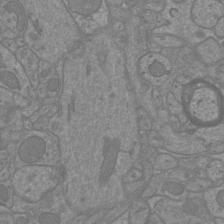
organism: Mouse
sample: Cortical neurons